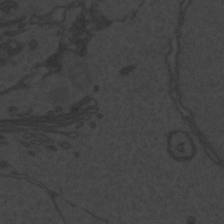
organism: Zebrafish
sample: Macrophage infected with Toxoplasma gondii